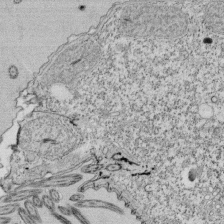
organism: Tetrahymena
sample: Cilia in tetrahymena